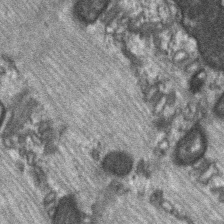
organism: C57BL Mouse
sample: Soleus